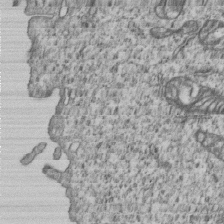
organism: Human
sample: MDA-MB-231 cells